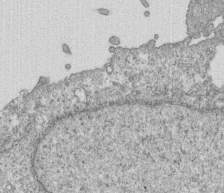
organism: Human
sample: HeLa cell HIV synapse